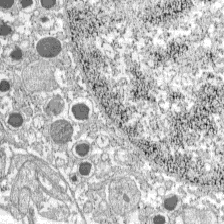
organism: C57BL Mouse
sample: Pancreatic islet